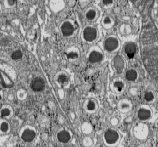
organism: C57BL Mouse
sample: Pancreatic islet